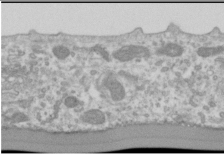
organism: Human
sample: Cilia; basal body in RPE cells